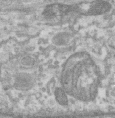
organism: Human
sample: Centriole in RPE cells